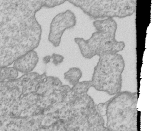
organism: Human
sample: MDA-MB-231 cells